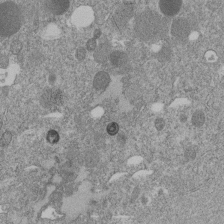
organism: C. elegans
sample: C. elegans embryo early stage